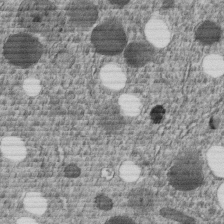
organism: C. elegans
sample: C. elegans embryo early stage